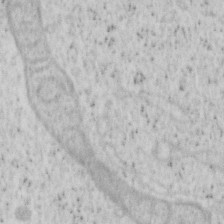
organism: Human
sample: HeLa cells